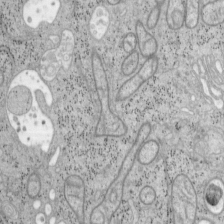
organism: Mouse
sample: OT-I killer T cells with ID8 ovarian cancer cells